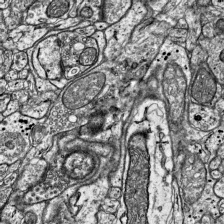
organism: Mouse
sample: Visual Cortex